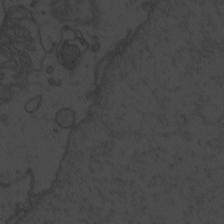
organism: Zebrafish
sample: Macrophage infected with Toxoplasma gondii